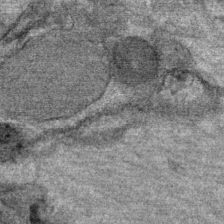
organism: Mouse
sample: Mouse Salivary gland